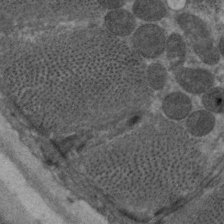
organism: C. elegans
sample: Pharynx